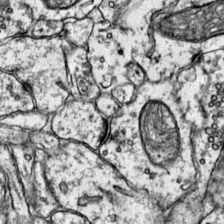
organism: Mouse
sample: Primary visual cortex